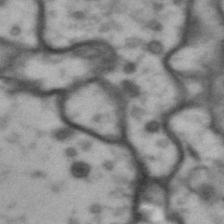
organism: Drosophila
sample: Brain